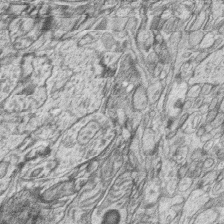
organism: Zebrafish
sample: synaptic ribbons in rod cells and cone cells